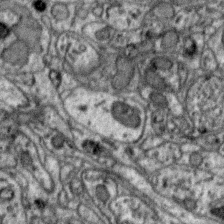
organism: Zebra finch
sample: Brain